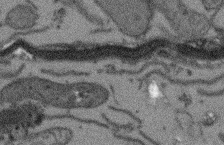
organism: Arabidopsis thaliana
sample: Root tip